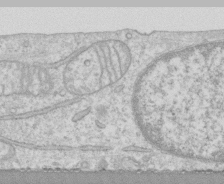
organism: Human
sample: CRL-1474